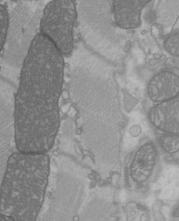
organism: C57BL Mouse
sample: Heart